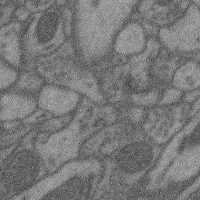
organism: Mouse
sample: Cerebral cortex